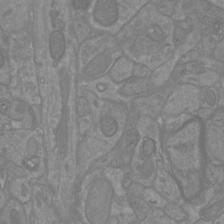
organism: Mouse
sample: Cortical neurons